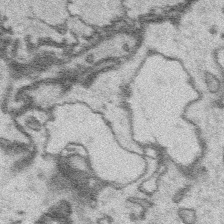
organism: Platynereis dumerilii